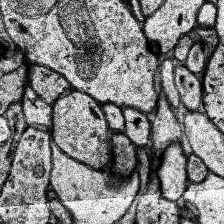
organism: Human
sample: Temporal Lobe